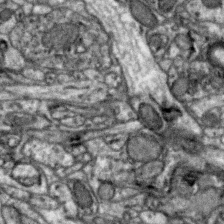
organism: Zebra finch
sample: Brain